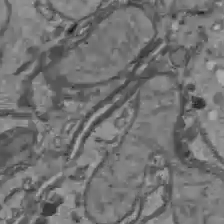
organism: C57BL Mouse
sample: Liver